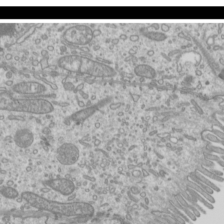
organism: Mouse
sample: Cilia; mouse epididymis